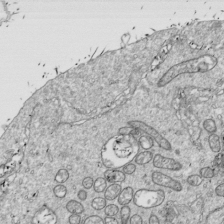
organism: Drosophila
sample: Cell division; meiosis; drosophila spermatocytes